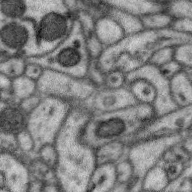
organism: Zebra finch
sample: Brain